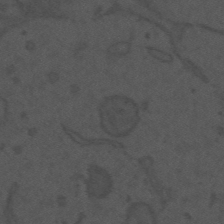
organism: Mouse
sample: Suprachiasmatic nucleus